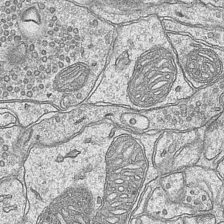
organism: Mouse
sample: CA1 Hippocampus